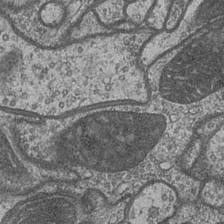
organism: Drosophila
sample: Optic medulla